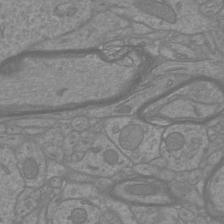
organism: Mouse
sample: Cortical neurons